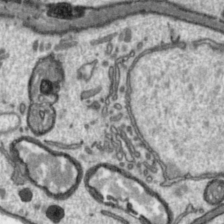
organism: Toxoplasma gondii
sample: Parasites in a vacuole inside a host cell